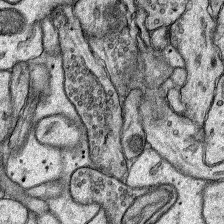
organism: Rat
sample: Hippocampus